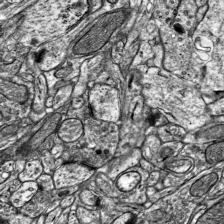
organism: Mouse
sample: Visual Cortex